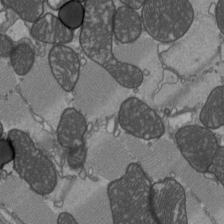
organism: C57BL Mouse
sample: Heart